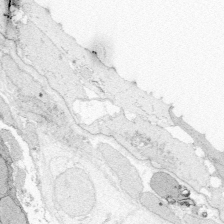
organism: Zebrafish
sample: Whole-Brain